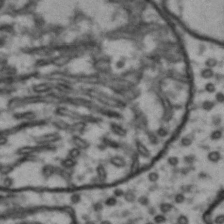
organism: Drosophila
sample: Brain